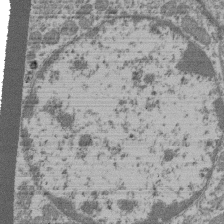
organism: Mouse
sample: Glomerulus